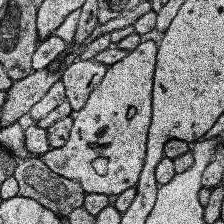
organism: Human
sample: Temporal Lobe